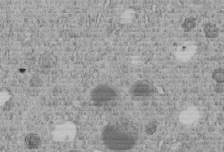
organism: C. elegans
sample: C. elegans embryo early stage